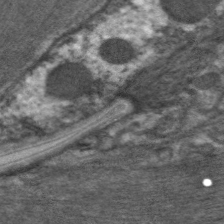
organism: C. elegans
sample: Pharynx